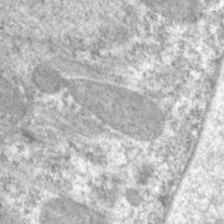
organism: C. elegans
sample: Pharynx